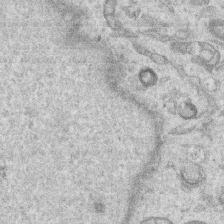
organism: Human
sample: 1205lu cells